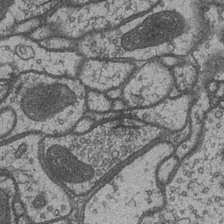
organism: Drosophila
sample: Optic medulla